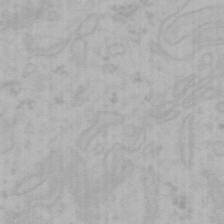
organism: Mouse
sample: Choroid plexus